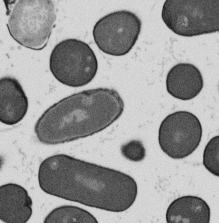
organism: B. subtilis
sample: Bacterial spore